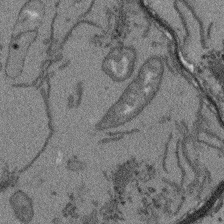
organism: Arabidopsis thaliana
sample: Root tip